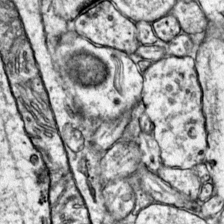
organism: Mouse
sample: Primary visual cortex